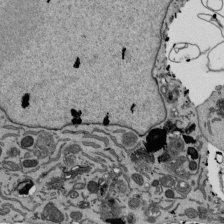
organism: Mouse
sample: ED-1 cell nuclei; centrioles